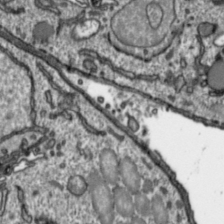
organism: Toxoplasma gondii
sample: Parasites in a vacuole inside a host cell